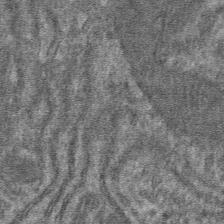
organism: Mouse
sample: Mouse hepatocytes